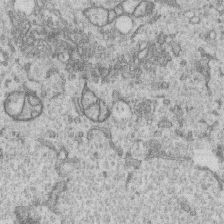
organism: Human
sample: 1205lu cells